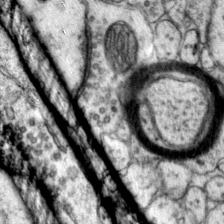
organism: Mouse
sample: Primary visual cortex